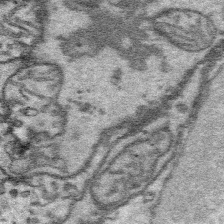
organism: Platynereis dumerilii